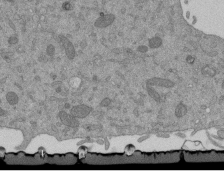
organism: Mouse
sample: ED-1 cell nuclei; centrioles